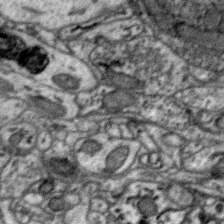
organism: Zebra finch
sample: Brain